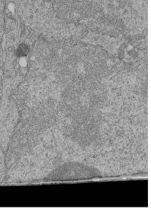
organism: Human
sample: Retinal organoid Rod and Cone cells